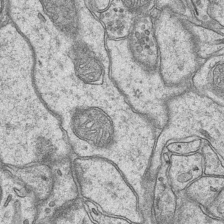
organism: Mouse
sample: CA1 Hippocampus